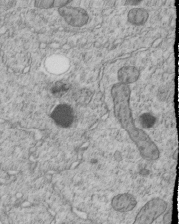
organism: C. elegans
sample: C. elegans embryo early stage